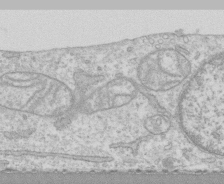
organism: Human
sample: CRL-1474